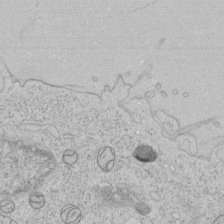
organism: Human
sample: Mitochondria in HCT116 cells